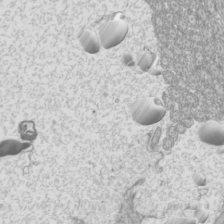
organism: Mouse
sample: Cilia; mouse epididymis